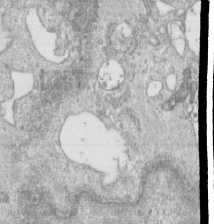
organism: Human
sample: Centriole in RPE cells